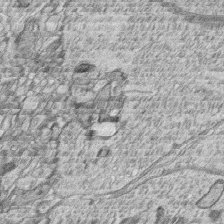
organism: Zebrafish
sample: synaptic ribbons in rod cells and cone cells